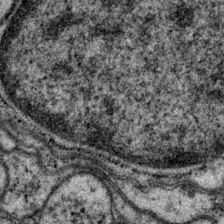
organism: P. pacificus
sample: Pharynx